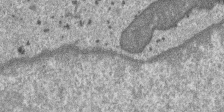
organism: Human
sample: Lung epithelial cells infected with SARS-CoV-2